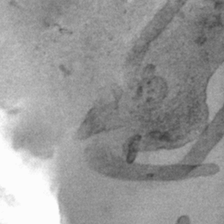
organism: Human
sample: Mitochondria in HCT116 cells